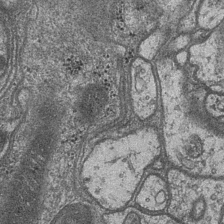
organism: Drosophila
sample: Optic medulla